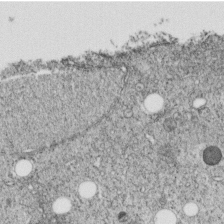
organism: C. elegans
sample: C. elegans embryo early stage